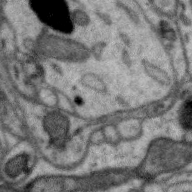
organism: Zebra finch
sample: Brain